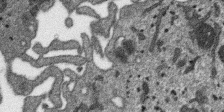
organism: Human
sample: Lung epithelial cells infected with SARS-CoV-2